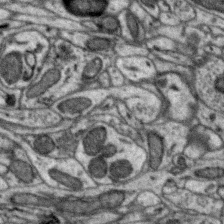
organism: Zebra finch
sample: Brain